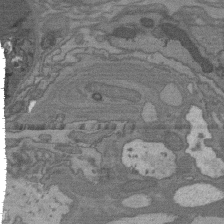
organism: C. elegans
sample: AFD neurons C. elegans